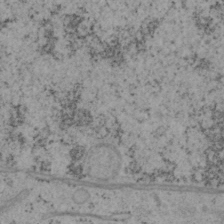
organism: Human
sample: HeLa cells